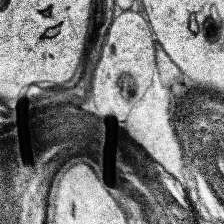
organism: Human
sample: Temporal Lobe